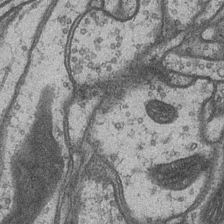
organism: Drosophila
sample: Optic medulla